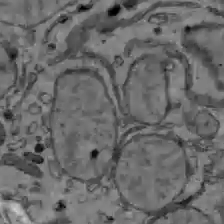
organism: C57BL Mouse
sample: Liver